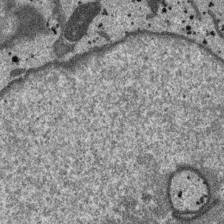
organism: Human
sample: Lung epithelial cells, uninfected (mock) control